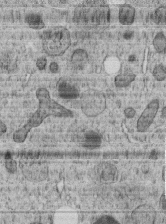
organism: C. elegans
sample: C. elegans embryo early stage